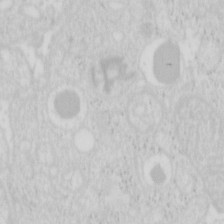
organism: Mouse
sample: Pancreas